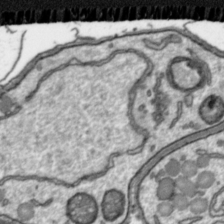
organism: Toxoplasma gondii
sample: Parasites in a vacuole inside a host cell